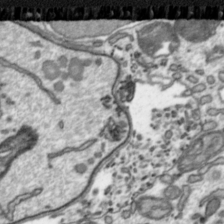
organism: Toxoplasma gondii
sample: Parasites in a vacuole inside a host cell